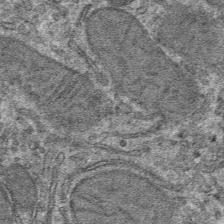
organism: Mouse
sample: Mouse hepatocytes